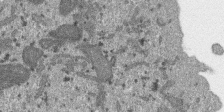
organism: Human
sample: Lung epithelial cells infected with SARS-CoV-2